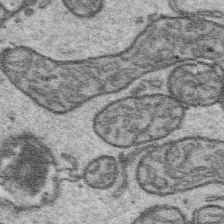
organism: Platynereis dumerilii